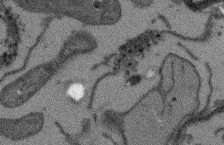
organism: Arabidopsis thaliana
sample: Root tip